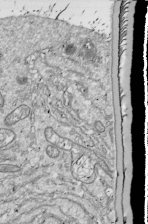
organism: Drosophila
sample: Cell division; meiosis; drosophila spermatocytes